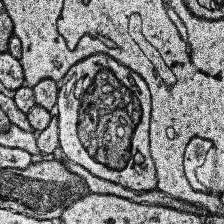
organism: Human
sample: Temporal Lobe